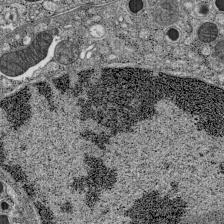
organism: C57BL Mouse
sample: Pancreatic islet